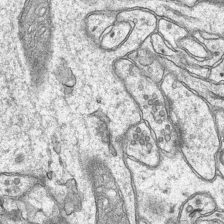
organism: Mouse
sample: CA1 Hippocampus